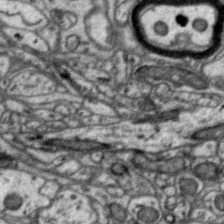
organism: Zebra finch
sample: Brain